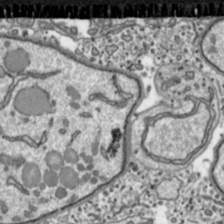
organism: Toxoplasma gondii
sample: Parasites in a vacuole inside a host cell